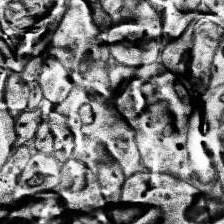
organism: Human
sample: Temporal Lobe